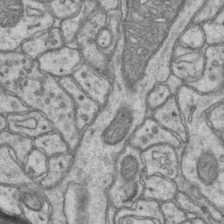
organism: Mouse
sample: CA1 Hippocampus